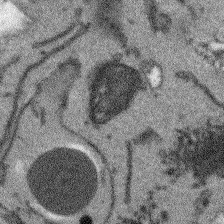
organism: Arabidopsis thaliana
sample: Root tip